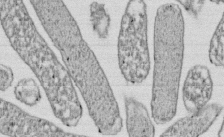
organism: E. coli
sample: Bacterial nucleoid